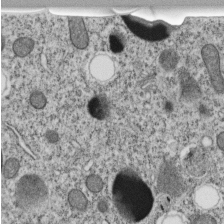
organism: C. elegans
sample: C. elegans embryo early stage